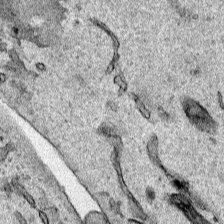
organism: Human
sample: Mitochondria in HCT116 cells